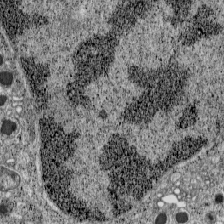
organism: C57BL Mouse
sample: Pancreatic islet